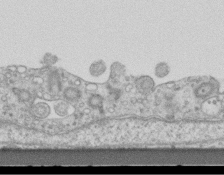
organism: Mouse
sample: Centriole in ependymal cells